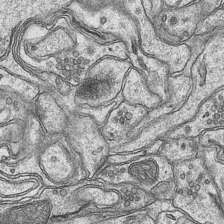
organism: Mouse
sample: CA1 Hippocampus